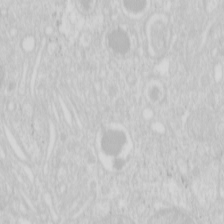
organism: Mouse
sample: Pancreas